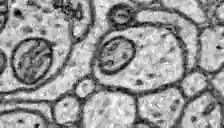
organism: Zebrafish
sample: Brain